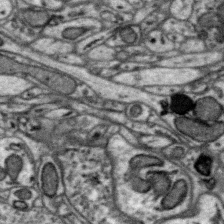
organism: Zebra finch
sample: Brain